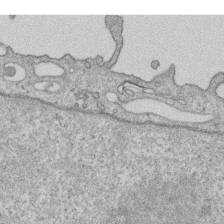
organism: Human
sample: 1205lu cells